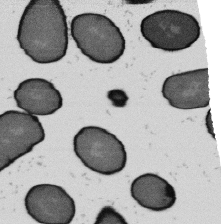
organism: B. subtilis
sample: Bacterial spore